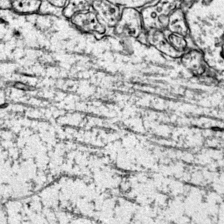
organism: Mouse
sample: Primary visual cortex